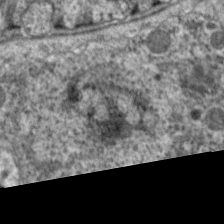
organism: C. elegans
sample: Pharynx